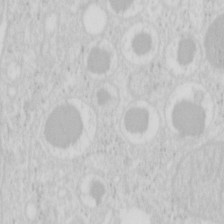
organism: Mouse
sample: Pancreas